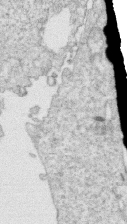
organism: Human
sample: HeLa cell HIV synapse